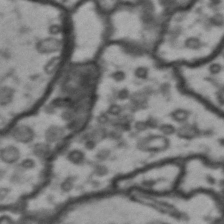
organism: Drosophila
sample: Brain